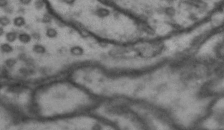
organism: Drosophila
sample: Brain